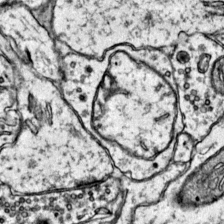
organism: Mouse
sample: Primary visual cortex